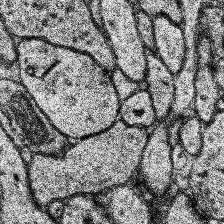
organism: Human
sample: Temporal Lobe